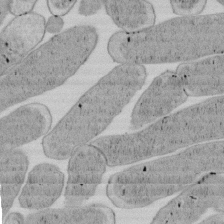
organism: E. coli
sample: Bacterial nucleoid